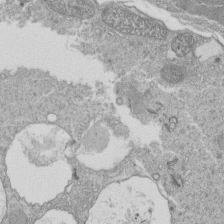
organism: Tetrahymena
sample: Cilia in tetrahymena